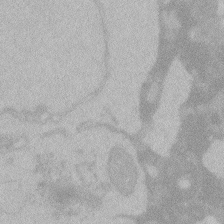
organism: Zebrafish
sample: Macrophage infected with Toxoplasma gondii